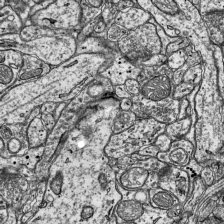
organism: Mouse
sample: Visual Cortex